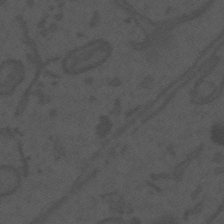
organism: Mouse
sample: Suprachiasmatic nucleus